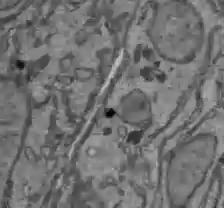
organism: C57BL Mouse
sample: Liver